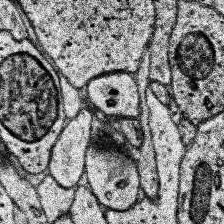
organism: Human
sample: Temporal Lobe